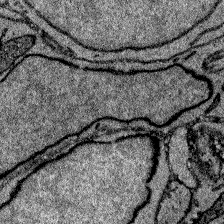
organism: Zebrafish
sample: Larval olfactory bulb